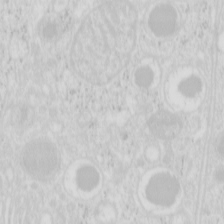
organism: Mouse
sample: Pancreas